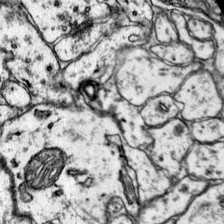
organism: Mouse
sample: Primary visual cortex